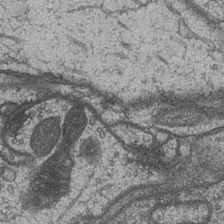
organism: Drosophila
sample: Optic medulla